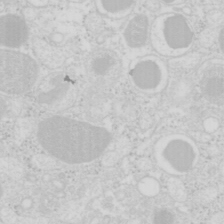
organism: Mouse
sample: Pancreas